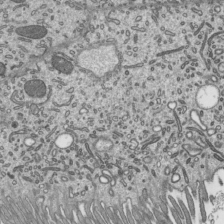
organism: Mouse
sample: Mouse epididymis efferent ductule cilia